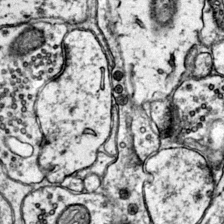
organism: Mouse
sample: Primary visual cortex